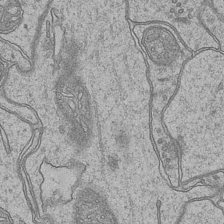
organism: Mouse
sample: CA1 Hippocampus